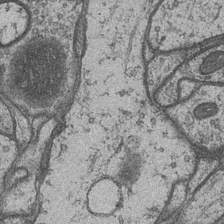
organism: Drosophila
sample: Optic medulla